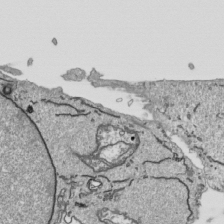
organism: Human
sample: Mitochondria in HCT116 cells